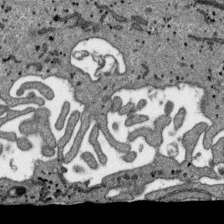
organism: Human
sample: Lung epithelial cells, uninfected (mock) control